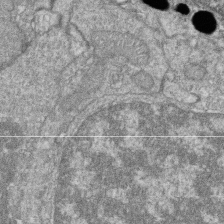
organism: Zebrafish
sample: Cilia; retinal pigment epithelium